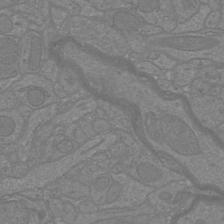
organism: Mouse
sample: Cortical neurons